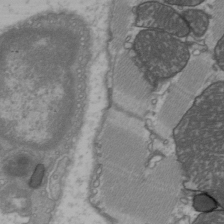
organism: C57BL Mouse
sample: Heart